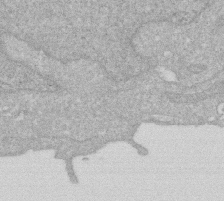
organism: Human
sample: HIV infected U937 cells